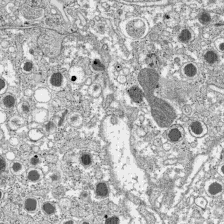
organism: C57BL Mouse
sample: Pancreatic islet